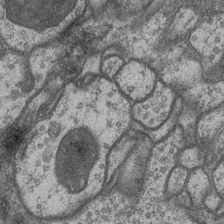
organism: Drosophila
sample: Optic medulla